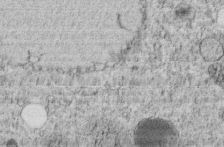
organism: C. elegans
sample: C. elegans embryo early stage